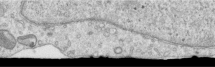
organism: Human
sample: Centriole in RPE cells